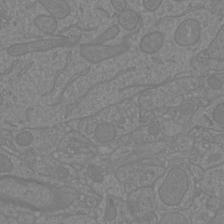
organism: Mouse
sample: Cortical neurons